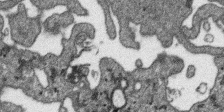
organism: Human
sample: Lung epithelial cells infected with SARS-CoV-2